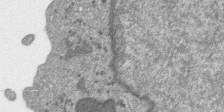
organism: Human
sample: Lung epithelial cells infected with SARS-CoV-2